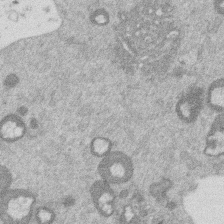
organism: Mouse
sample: Dividing mouse embryo 1 cell stage